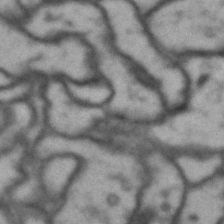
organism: Drosophila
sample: Brain